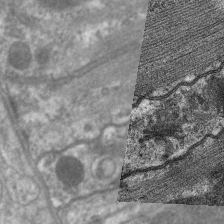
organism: C. elegans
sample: Pharynx